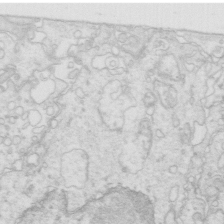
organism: Mouse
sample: Multiciliated cells